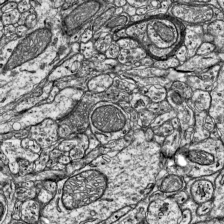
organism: Mouse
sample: Visual Cortex